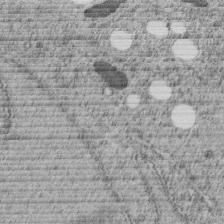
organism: C. elegans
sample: C. elegans embryo early stage